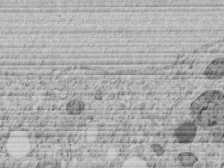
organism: C. elegans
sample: C. elegans embryo early stage